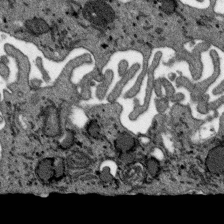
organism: Human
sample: Lung epithelial cells, uninfected (mock) control